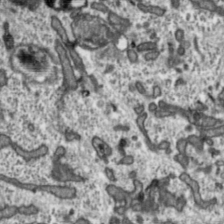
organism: Toxoplasma gondii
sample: Parasites in a vacuole inside a host cell